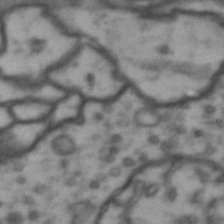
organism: Drosophila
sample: Brain